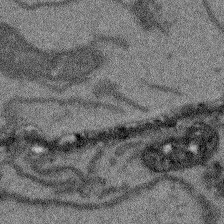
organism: Arabidopsis thaliana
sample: Root tip